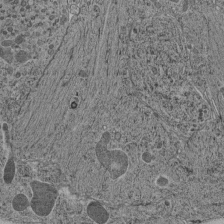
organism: C. elegans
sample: C. elegans pharynx